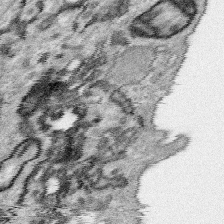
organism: Human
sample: HeLa cells